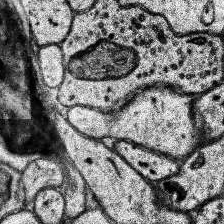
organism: Human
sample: Temporal Lobe